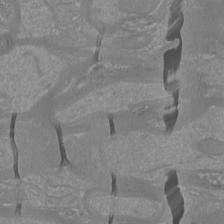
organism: Mouse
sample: Cortical neurons